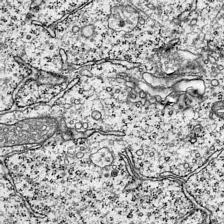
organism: Mouse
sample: Visual Cortex